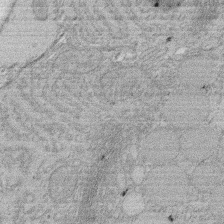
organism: Rat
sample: Salivary granule